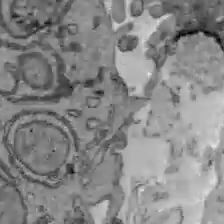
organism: C57BL Mouse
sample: Liver